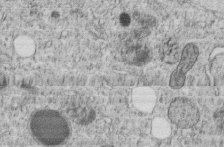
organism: C. elegans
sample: C. elegans embryo early stage